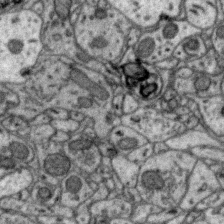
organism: Zebra finch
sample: Brain